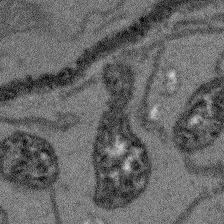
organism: Arabidopsis thaliana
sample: Root tip